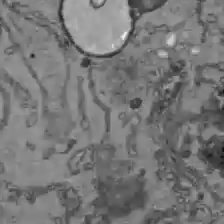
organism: C57BL Mouse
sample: Liver